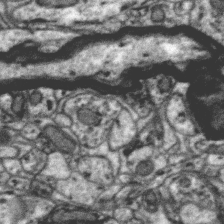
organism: Zebra finch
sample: Brain